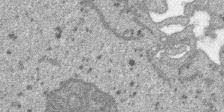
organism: Human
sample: Lung epithelial cells infected with SARS-CoV-2